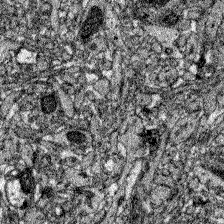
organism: Zebrafish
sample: Larval olfactory bulb